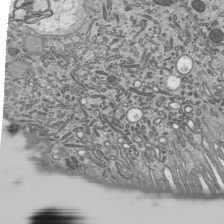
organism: Mouse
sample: Mouse epididymis efferent ductule cilia